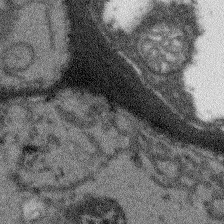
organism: Arabidopsis thaliana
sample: Root tip